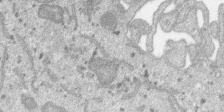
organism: Human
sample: Lung epithelial cells infected with SARS-CoV-2